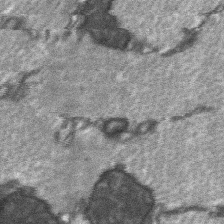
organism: C57BL Mouse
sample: Soleus